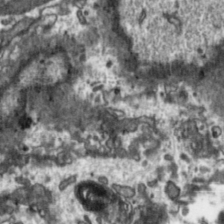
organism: Toxoplasma gondii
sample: Parasites in a vacuole inside a host cell